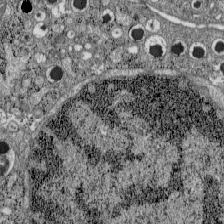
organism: C57BL Mouse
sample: Pancreatic islet